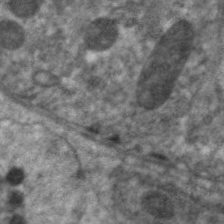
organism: C. elegans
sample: Pharynx